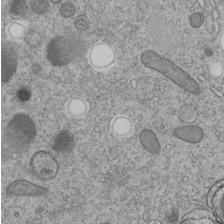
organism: C. elegans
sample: C. elegans embryo early stage